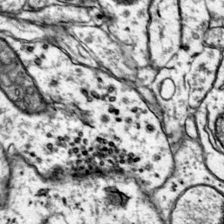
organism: Mouse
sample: Primary visual cortex